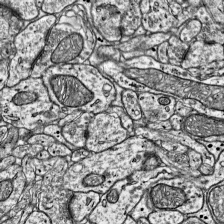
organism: Mouse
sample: Visual Cortex